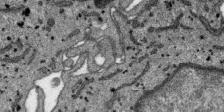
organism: Human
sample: Lung epithelial cells, uninfected (mock) control